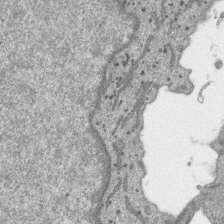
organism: Human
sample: Lung epithelial cells infected with SARS-CoV-2